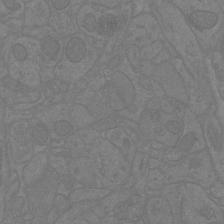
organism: Mouse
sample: Cortical neurons